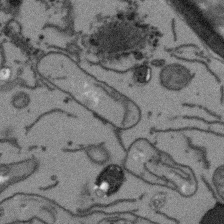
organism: Arabidopsis thaliana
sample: Root tip